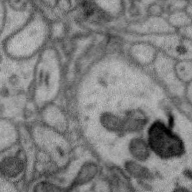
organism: Zebra finch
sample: Brain